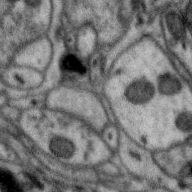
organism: Zebra finch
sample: Brain